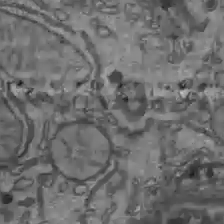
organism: C57BL Mouse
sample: Liver